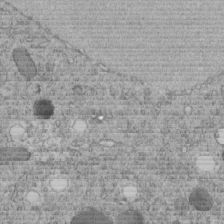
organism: C. elegans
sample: C. elegans embryo early stage